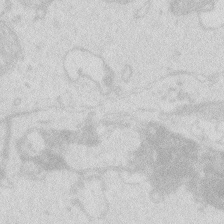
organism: Zebrafish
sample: Macrophage